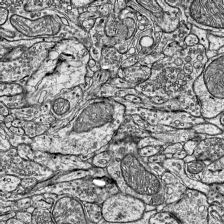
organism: Mouse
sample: Visual Cortex